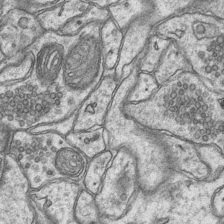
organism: Mouse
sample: CA1 Hippocampus